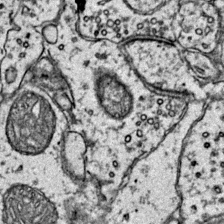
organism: Mouse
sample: Primary visual cortex